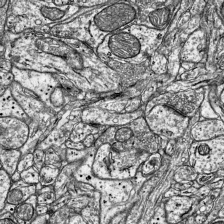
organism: Mouse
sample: Visual Cortex